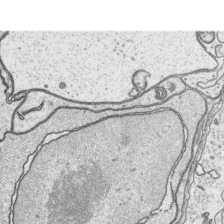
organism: Platynereis dumerilii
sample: Parapodia